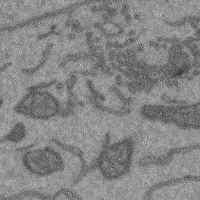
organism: Mouse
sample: Cerebral cortex